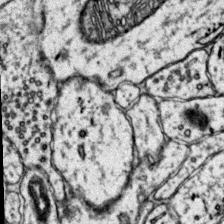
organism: Mouse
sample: Primary visual cortex